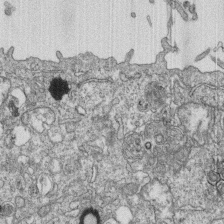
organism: Human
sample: HeLa cell HIV synapse